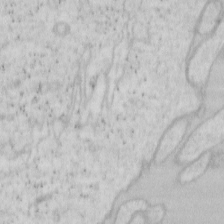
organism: Human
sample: HeLa cells